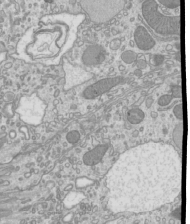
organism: Mouse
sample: Cilia; mouse epididymis